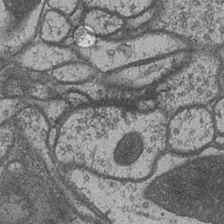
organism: Drosophila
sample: Optic medulla